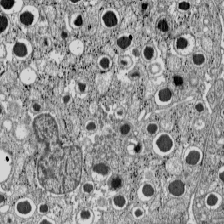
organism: C57BL Mouse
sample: Pancreatic islet